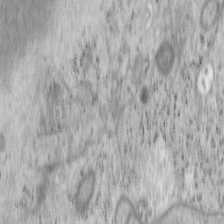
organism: Human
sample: HeLa cells